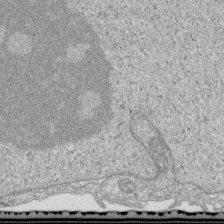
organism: Human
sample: HeLa cell HIV synapse